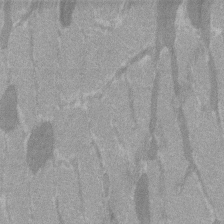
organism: C57BL Mouse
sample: Tibialis anterior muscle cell